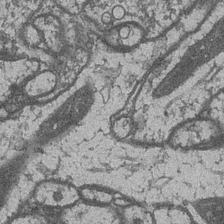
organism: Drosophila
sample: Optic medulla